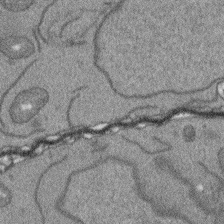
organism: Arabidopsis thaliana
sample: Root tip